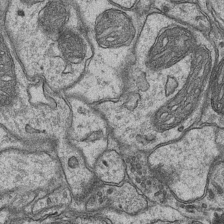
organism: Mouse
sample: CA1 Hippocampus